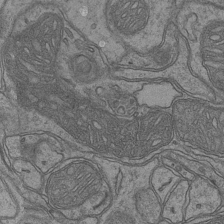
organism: Mouse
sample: CA1 Hippocampus